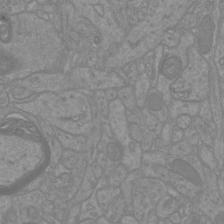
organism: Mouse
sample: Cortical neurons